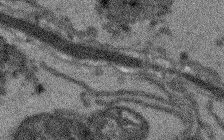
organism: Arabidopsis thaliana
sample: Root tip